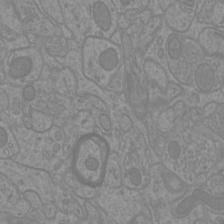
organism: Mouse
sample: Cortical neurons